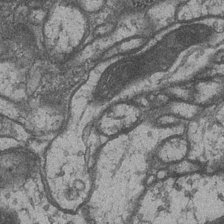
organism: Drosophila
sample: Optic medulla